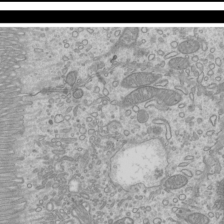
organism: Mouse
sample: Cilia; mouse epididymis